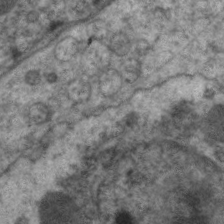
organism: C. elegans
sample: Pharynx